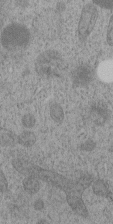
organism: C. elegans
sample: C. elegans embryo early stage